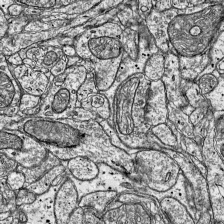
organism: Mouse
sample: Visual Cortex